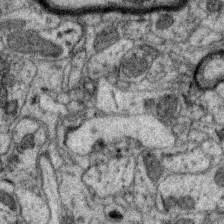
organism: Zebra finch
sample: Brain